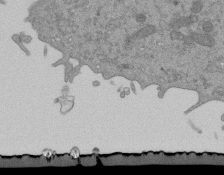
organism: Mouse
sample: ED-1 cell nuclei; centrioles